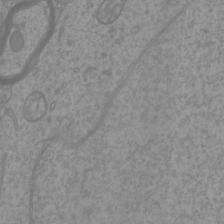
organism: Mouse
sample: Cortical neurons